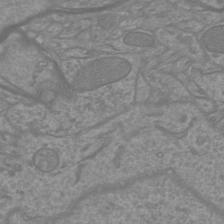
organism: Mouse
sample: Cortical neurons